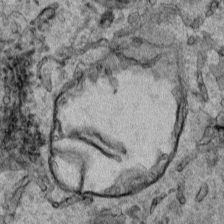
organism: Human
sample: Mitochondria in HCT116 cells